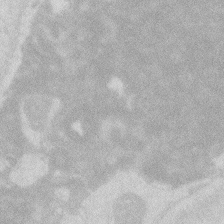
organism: Zebrafish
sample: Macrophage